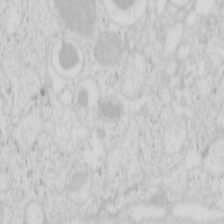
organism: Mouse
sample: Pancreas